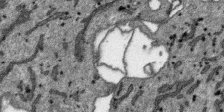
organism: Human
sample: Lung epithelial cells, uninfected (mock) control